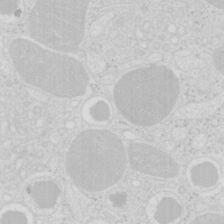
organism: Mouse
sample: Pancreas